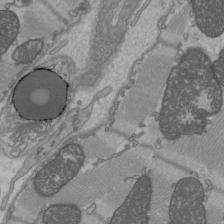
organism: C57BL Mouse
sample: Heart